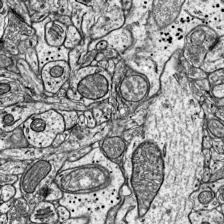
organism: Mouse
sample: Visual Cortex